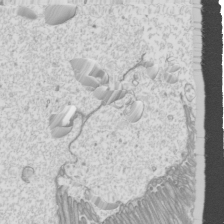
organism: Mouse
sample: Cilia; mouse epididymis